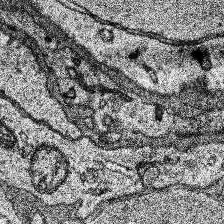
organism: Human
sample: Temporal Lobe